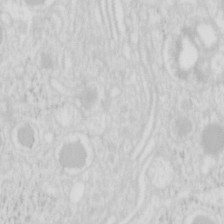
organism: Mouse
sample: Pancreas